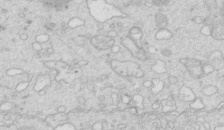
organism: Mouse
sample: Multiciliated cells